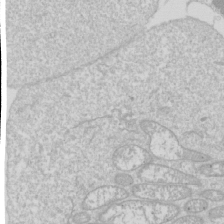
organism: Drosophila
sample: Cell division; meiosis; drosophila spermatocytes